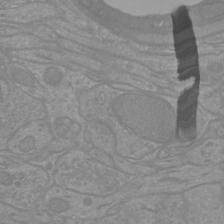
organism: Mouse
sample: Cortical neurons